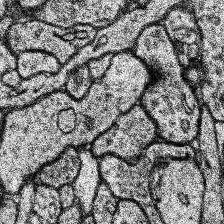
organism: Human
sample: Temporal Lobe